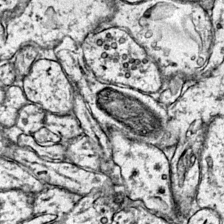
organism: Mouse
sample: Primary visual cortex